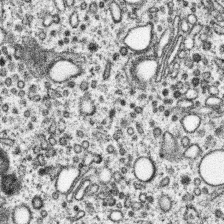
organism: Human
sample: HeLa cells